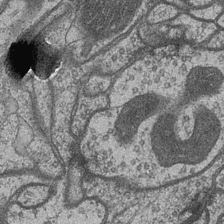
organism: Drosophila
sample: Optic medulla